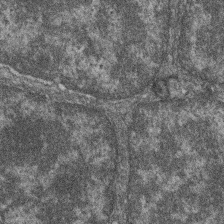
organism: Zebrafish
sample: Cilia; retinal pigment epithelium